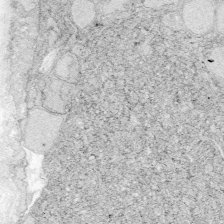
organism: Zebrafish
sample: Whole-Brain